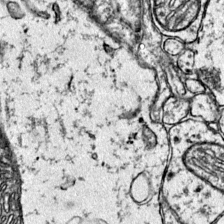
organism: Mouse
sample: Primary visual cortex